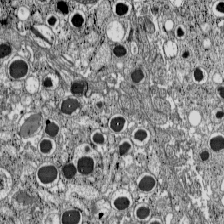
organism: C57BL Mouse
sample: Pancreatic islet